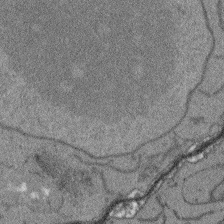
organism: Arabidopsis thaliana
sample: Root tip